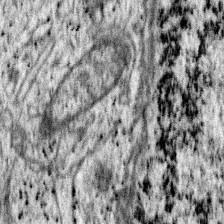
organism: Human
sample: HeLa cells